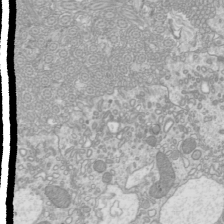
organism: Mouse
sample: Cilia; mouse epididymis